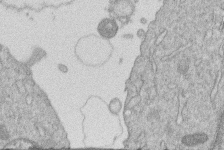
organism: Human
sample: Macrophage cells